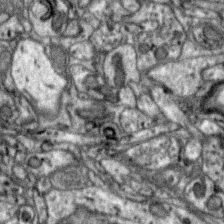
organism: Zebra finch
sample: Brain